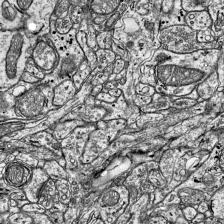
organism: Mouse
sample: Visual Cortex